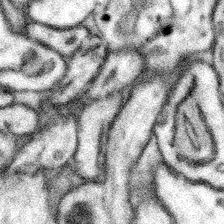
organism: Mouse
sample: Somatosensory cortex neuropil